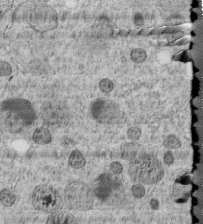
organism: C. elegans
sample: C. elegans embryo early stage